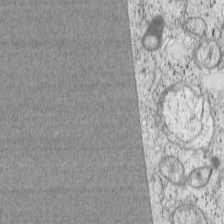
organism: African green monkey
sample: COS-7 cells